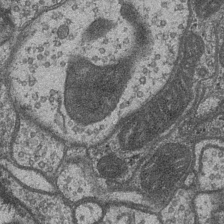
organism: Drosophila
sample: Optic medulla